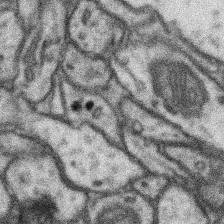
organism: Mouse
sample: Somatosensory cortex neuropil